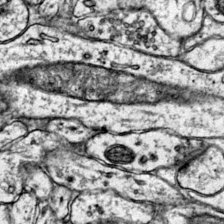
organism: Mouse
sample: Primary visual cortex